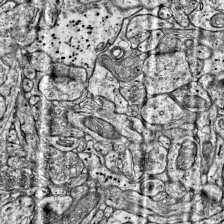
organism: Mouse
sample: Visual Cortex